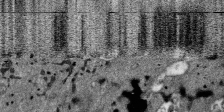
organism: Human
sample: Lung epithelial cells, uninfected (mock) control